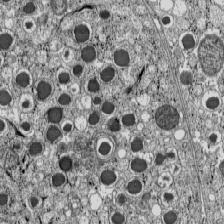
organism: C57BL Mouse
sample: Pancreatic islet